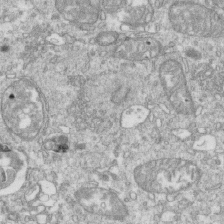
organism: Mouse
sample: Activated OT-1 CD8+ T cells